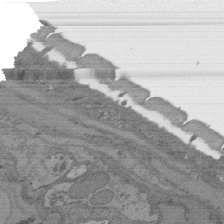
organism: C. elegans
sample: AFD neurons C. elegans